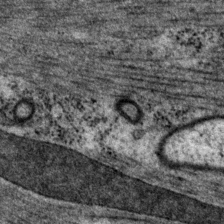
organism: P. pacificus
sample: Pharynx